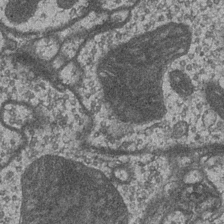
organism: Drosophila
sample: Optic medulla